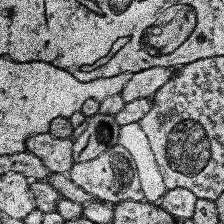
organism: Human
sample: Temporal Lobe